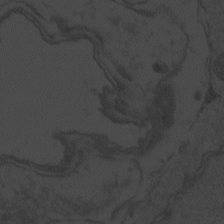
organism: Zebrafish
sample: Macrophage infected with Toxoplasma gondii